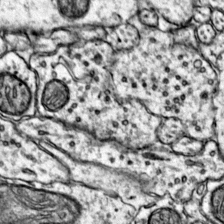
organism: Mouse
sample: Primary visual cortex